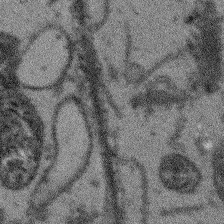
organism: Arabidopsis thaliana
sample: Root tip